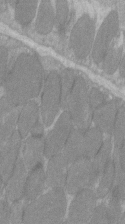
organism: C57BL Mouse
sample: Tibialis anterior muscle cell